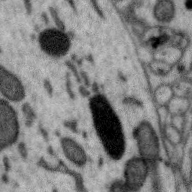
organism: Zebra finch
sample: Brain